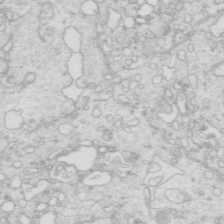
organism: Mouse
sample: Multiciliated cells